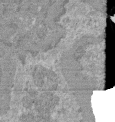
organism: Mouse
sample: Glomerulus